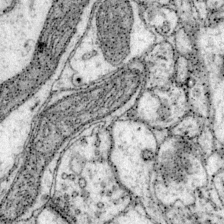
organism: Mouse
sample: Primary visual cortex